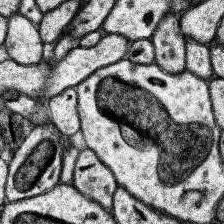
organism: Human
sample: Temporal Lobe